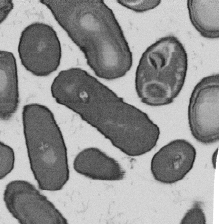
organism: B. subtilis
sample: Bacterial spore